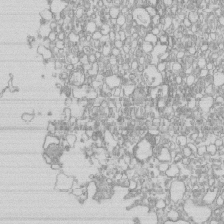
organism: Mouse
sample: Macrophages